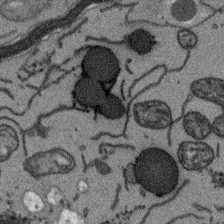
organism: Arabidopsis thaliana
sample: Root tip